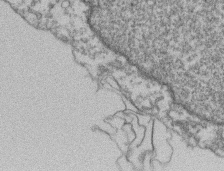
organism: Mouse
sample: T cell stromal cell synapse